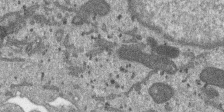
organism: Human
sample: Lung epithelial cells infected with SARS-CoV-2